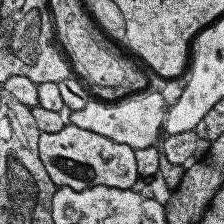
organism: Human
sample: Temporal Lobe